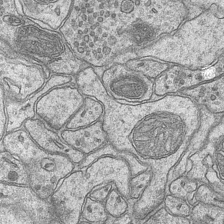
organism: Mouse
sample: CA1 Hippocampus